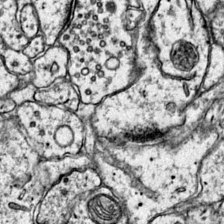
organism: Mouse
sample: Primary visual cortex